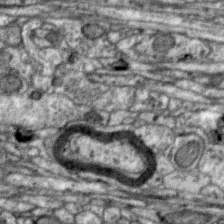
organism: Zebra finch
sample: Brain